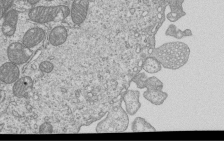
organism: Human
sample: MDA-MB-231 cells